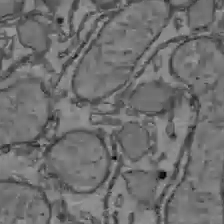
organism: C57BL Mouse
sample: Liver